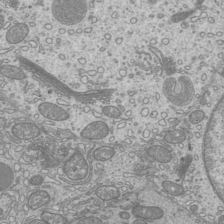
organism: Mouse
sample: Cilia; mouse epididymis